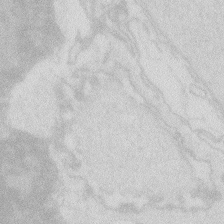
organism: Zebrafish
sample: Macrophage